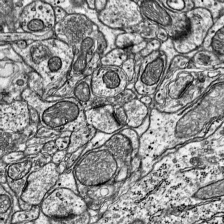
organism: Mouse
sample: Visual Cortex